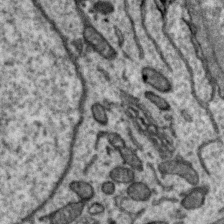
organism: Zebra finch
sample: Brain